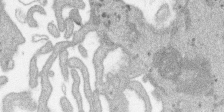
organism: Human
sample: Lung epithelial cells infected with SARS-CoV-2